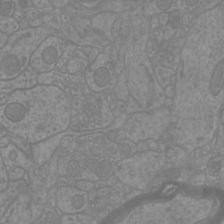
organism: Mouse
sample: Cortical neurons